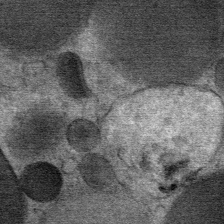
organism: Mouse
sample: Mouse Salivary gland